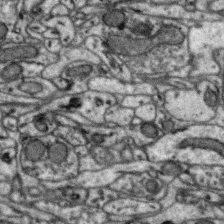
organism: Zebra finch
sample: Brain